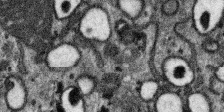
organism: Human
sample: Lung epithelial cells infected with SARS-CoV-2